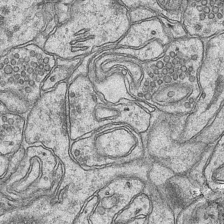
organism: Mouse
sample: CA1 Hippocampus